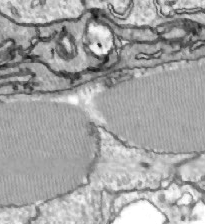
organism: Zebrafish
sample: Actinotrichia fibers